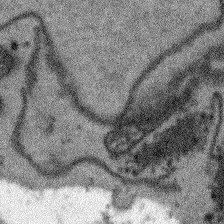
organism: Arabidopsis thaliana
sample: Root tip